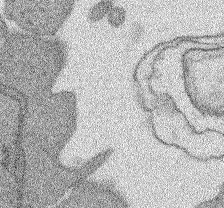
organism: Human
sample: HeLa cells